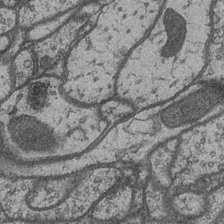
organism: Drosophila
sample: Optic medulla